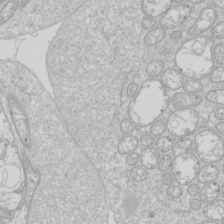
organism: Drosophila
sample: Cell division; meiosis; drosophila spermatocytes